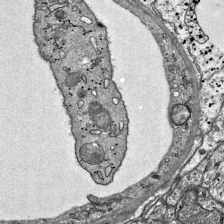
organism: Mouse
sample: Visual Cortex